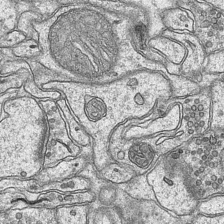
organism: Mouse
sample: CA1 Hippocampus